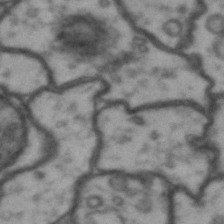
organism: Drosophila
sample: Brain